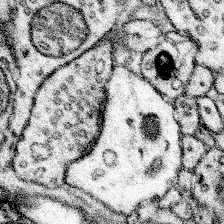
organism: Mouse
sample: Somatosensory cortex neuropil